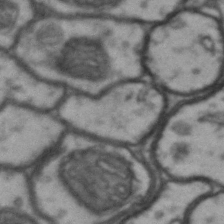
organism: Drosophila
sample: Brain